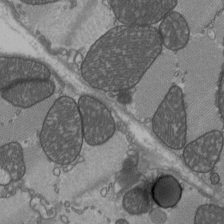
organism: C57BL Mouse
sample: Heart